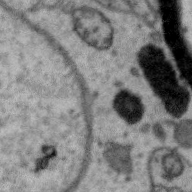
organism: Zebra finch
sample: Brain